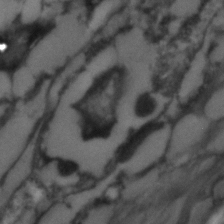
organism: C. elegans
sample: C. elegans embryo